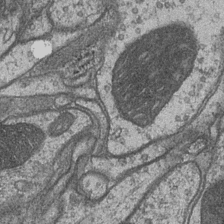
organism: Drosophila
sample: Optic medulla